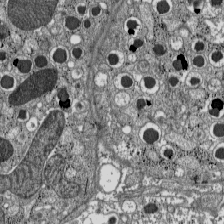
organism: C57BL Mouse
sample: Pancreatic islet